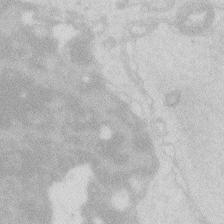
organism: Zebrafish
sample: Macrophage